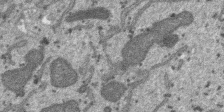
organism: Human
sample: Lung epithelial cells infected with SARS-CoV-2